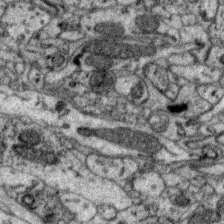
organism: Zebra finch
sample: Brain